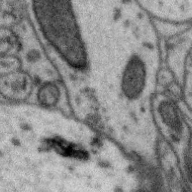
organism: Zebra finch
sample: Brain